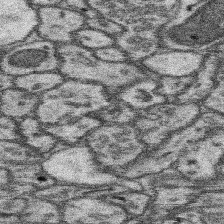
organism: Mouse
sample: Somatosensory cortex neuropil